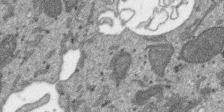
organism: Human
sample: Lung epithelial cells infected with SARS-CoV-2